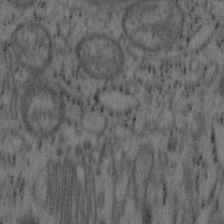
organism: Human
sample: HeLa cells